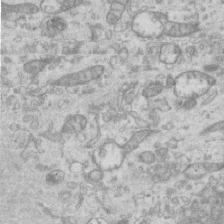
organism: Mouse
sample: Centriole in ependymal cells